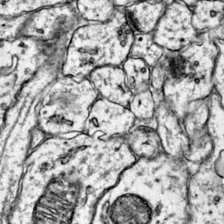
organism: Mouse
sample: Primary visual cortex